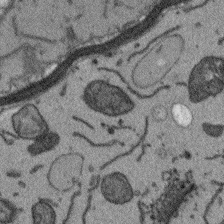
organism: Arabidopsis thaliana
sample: Root tip